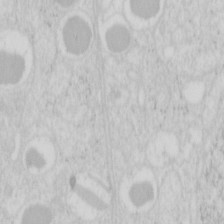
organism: Mouse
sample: Pancreas